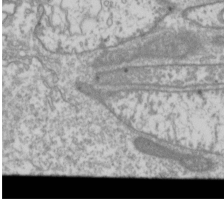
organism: Drosophila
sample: Cell division; meiosis; drosophila spermatocytes